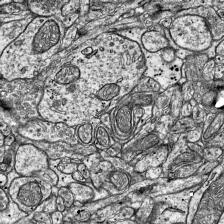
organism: Mouse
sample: Visual Cortex